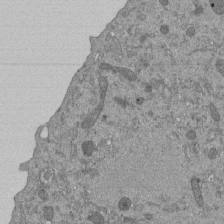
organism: Mouse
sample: ED-1 cell nuclei; centrioles